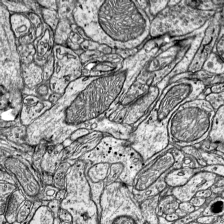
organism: Mouse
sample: Visual Cortex